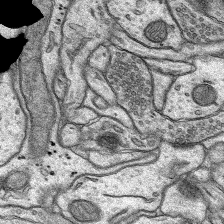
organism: Rat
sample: Hippocampus